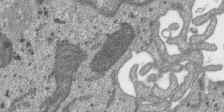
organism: Human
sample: Lung epithelial cells infected with SARS-CoV-2